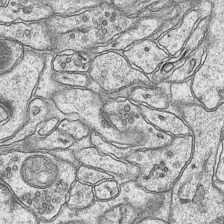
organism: Mouse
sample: CA1 Hippocampus